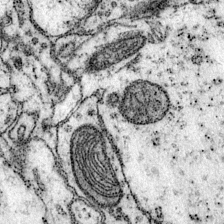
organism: Mouse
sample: Primary visual cortex